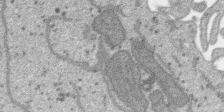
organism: Human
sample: Lung epithelial cells infected with SARS-CoV-2